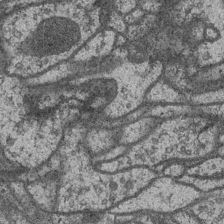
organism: Drosophila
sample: Optic medulla